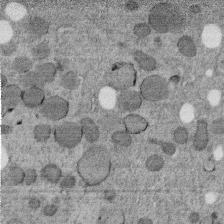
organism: C. elegans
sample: C. elegans embryo early stage